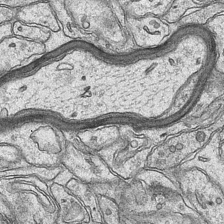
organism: Mouse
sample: CA1 Hippocampus